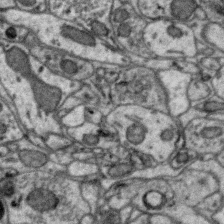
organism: Zebra finch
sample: Brain